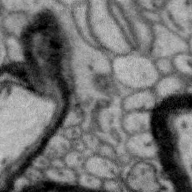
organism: Zebra finch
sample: Brain